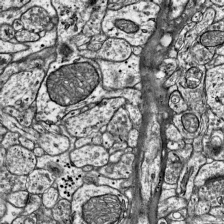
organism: Mouse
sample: Visual Cortex